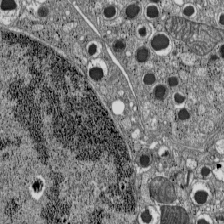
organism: C57BL Mouse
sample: Pancreatic islet